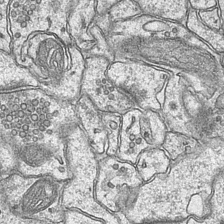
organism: Mouse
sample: CA1 Hippocampus